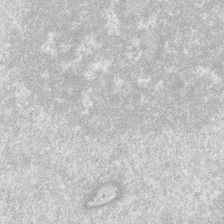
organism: Human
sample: Lung epithelial cells infected with SARS-CoV-2